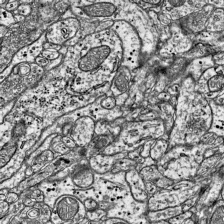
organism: Mouse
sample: Visual Cortex